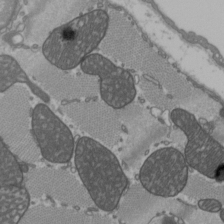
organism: C57BL Mouse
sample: Heart